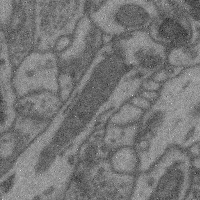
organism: Mouse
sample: Cerebral cortex